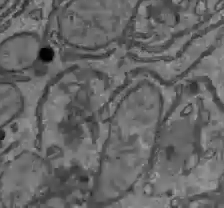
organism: C57BL Mouse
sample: Liver